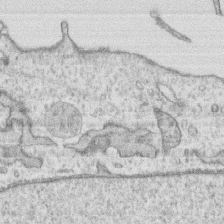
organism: Human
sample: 1205lu cells